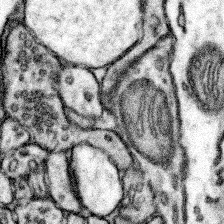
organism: Mouse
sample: Somatosensory cortex neuropil